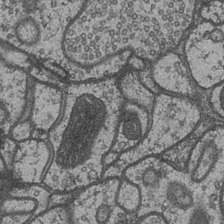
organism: Drosophila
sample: Optic medulla